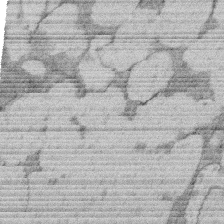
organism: Rat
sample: Salivary granule